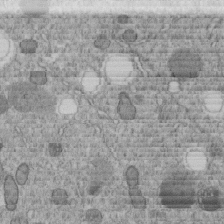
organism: C. elegans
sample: C. elegans embryo early stage